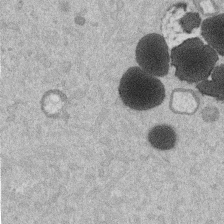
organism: Mouse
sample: Dividing mouse embryo 1 cell stage